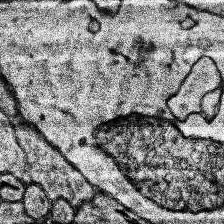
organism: Human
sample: Temporal Lobe